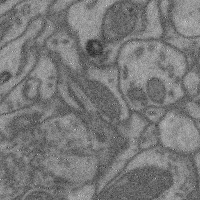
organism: Mouse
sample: Cerebral cortex